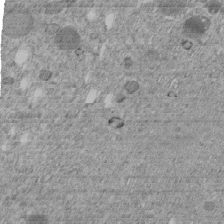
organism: C. elegans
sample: C. elegans embryo early stage